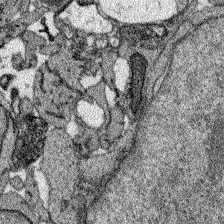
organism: Zebrafish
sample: Larval olfactory bulb